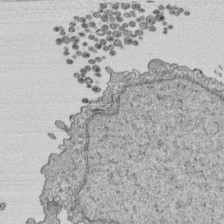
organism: Human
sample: HeLa cell HIV synapse